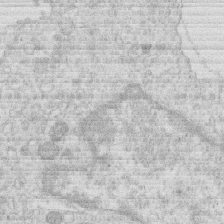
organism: Human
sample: Macrophage cells